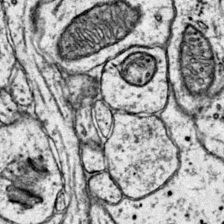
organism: Mouse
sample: Primary visual cortex